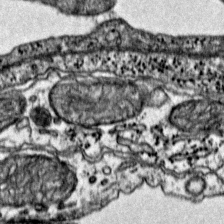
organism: Mouse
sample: Primary visual cortex